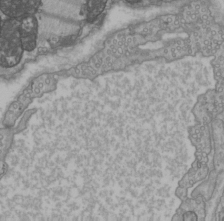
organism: C57BL Mouse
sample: Heart